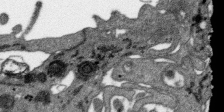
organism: Human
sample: Lung epithelial cells, uninfected (mock) control